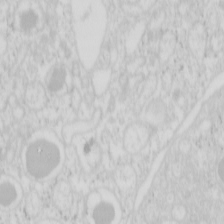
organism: Mouse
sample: Pancreas